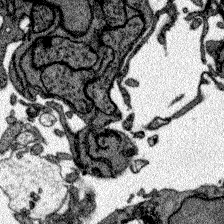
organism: Zebrafish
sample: Larval olfactory bulb